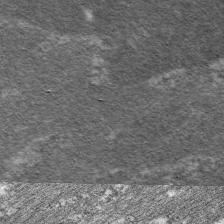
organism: C. elegans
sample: Pharynx